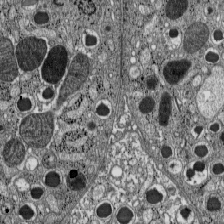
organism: C57BL Mouse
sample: Pancreatic islet